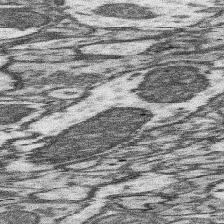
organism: Mouse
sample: Somatosensory cortex neuropil